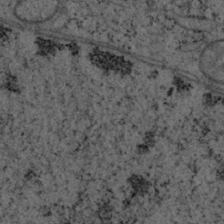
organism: Human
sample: HeLa cells